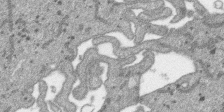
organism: Human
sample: Lung epithelial cells infected with SARS-CoV-2